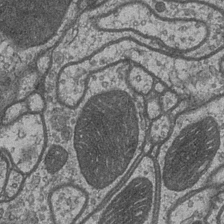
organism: Drosophila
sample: Optic medulla